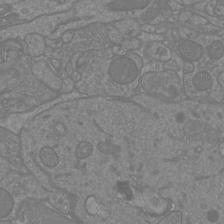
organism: Mouse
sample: Cortical neurons